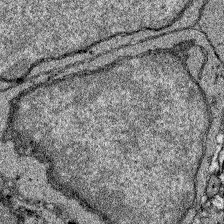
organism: Zebrafish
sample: Larval olfactory bulb